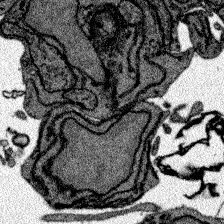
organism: Zebrafish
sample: Larval olfactory bulb